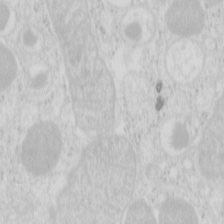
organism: Mouse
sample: Pancreas